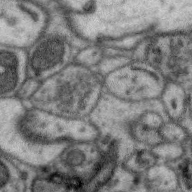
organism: Zebra finch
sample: Brain